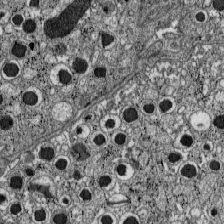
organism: C57BL Mouse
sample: Pancreatic islet